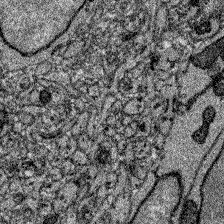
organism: Zebrafish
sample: Larval olfactory bulb